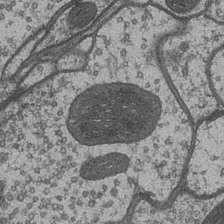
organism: Drosophila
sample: Optic medulla